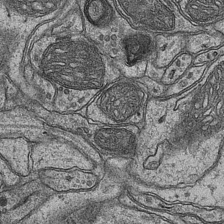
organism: Mouse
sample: CA1 Hippocampus